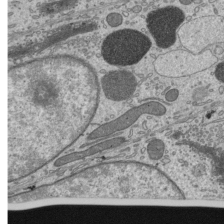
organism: Mouse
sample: Mouse epididymis efferent ductule cilia